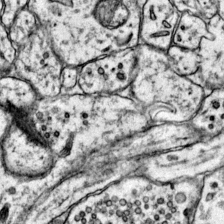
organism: Mouse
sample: Primary visual cortex